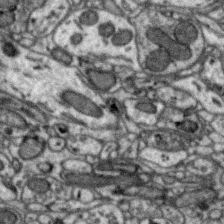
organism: Zebra finch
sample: Brain